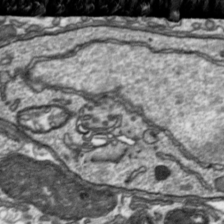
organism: Toxoplasma gondii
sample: Parasites in a vacuole inside a host cell